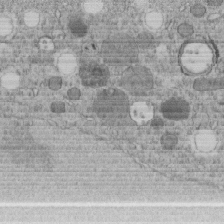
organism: C. elegans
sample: C. elegans embryo early stage